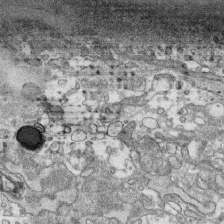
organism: Human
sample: CRL-1474